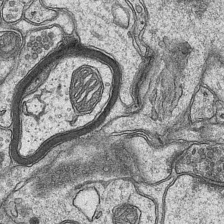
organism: Mouse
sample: CA1 Hippocampus